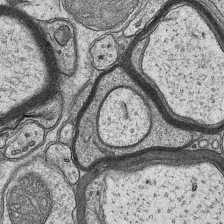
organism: Mouse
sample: CA1 Hippocampus